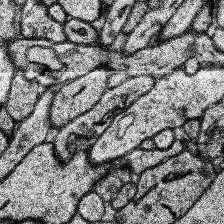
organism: Human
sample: Temporal Lobe